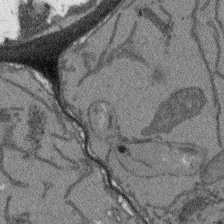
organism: Arabidopsis thaliana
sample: Root tip